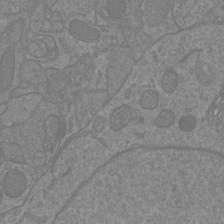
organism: Mouse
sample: Cortical neurons